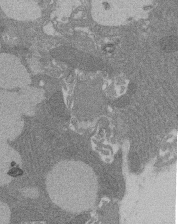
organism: Rat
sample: Salivary granule